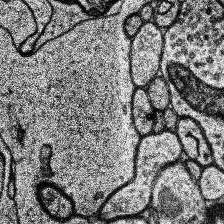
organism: Human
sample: Temporal Lobe